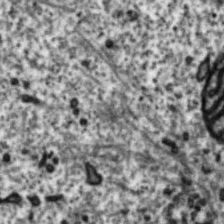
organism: Human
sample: HeLa cells